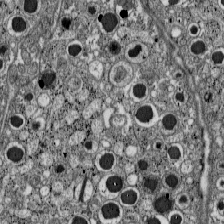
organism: C57BL Mouse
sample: Pancreatic islet